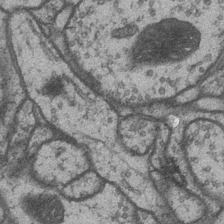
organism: Drosophila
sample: Optic medulla